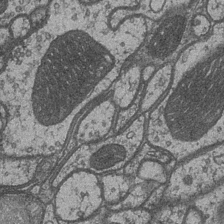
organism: Drosophila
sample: Optic medulla